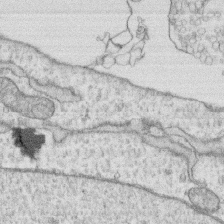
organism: Human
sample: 1205lu cells